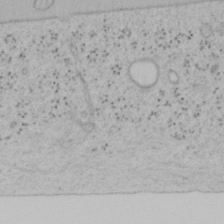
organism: Human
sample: HeLa cells